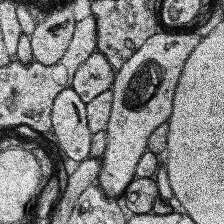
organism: Human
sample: Temporal Lobe